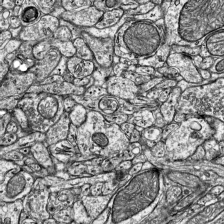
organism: Mouse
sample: Visual Cortex